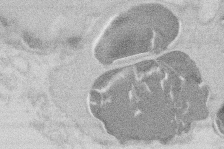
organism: Mouse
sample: T cell stromal cell synapse